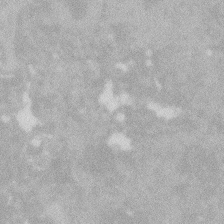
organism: Zebrafish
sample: Macrophage